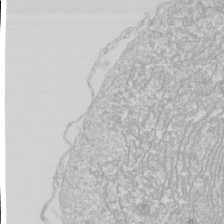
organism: Drosophila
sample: Cell division; meiosis; drosophila spermatocytes